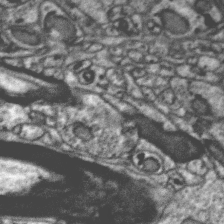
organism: Zebra finch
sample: Brain